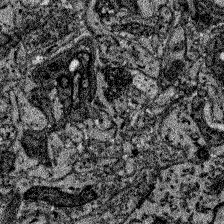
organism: Zebrafish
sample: Larval olfactory bulb